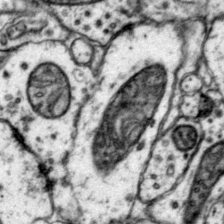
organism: Mouse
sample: Primary visual cortex